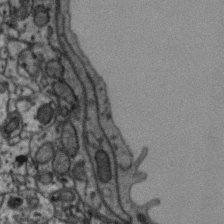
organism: Zebra finch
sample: Brain